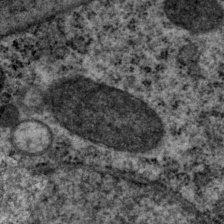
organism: P. pacificus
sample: Pharynx